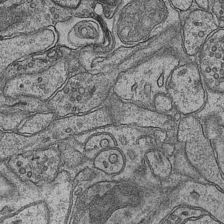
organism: Mouse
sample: CA1 Hippocampus